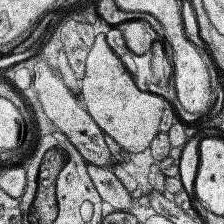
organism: Human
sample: Temporal Lobe